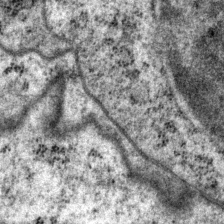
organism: P. pacificus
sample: Pharynx